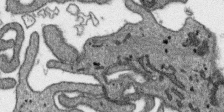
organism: Human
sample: Lung epithelial cells, uninfected (mock) control